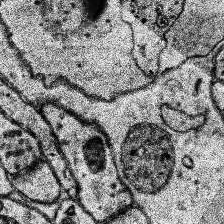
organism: Human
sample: Temporal Lobe